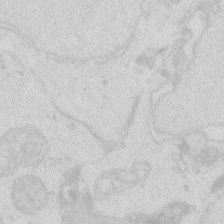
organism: Zebrafish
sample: Macrophage